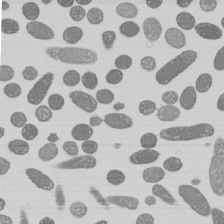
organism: E. coli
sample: Bacterial nucleoid